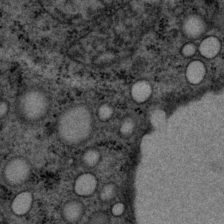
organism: P. pacificus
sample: Pharynx